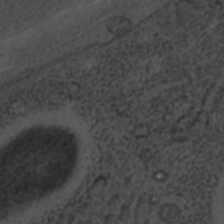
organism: C. elegans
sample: C. elegans embryo